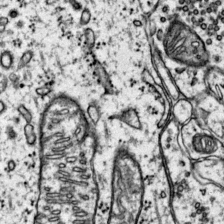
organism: Mouse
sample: Primary visual cortex